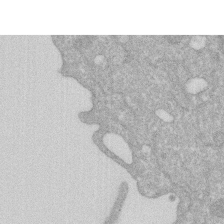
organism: Human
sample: HIV infected U937 cells